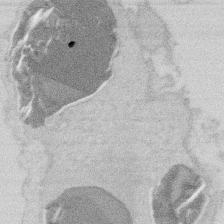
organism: Mouse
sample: T cell stromal cell synapse